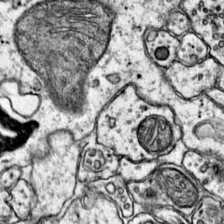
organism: Mouse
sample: Primary visual cortex